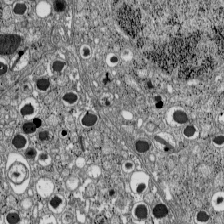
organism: C57BL Mouse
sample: Pancreatic islet